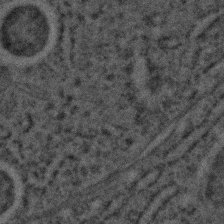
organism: C. elegans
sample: C. elegans embryo